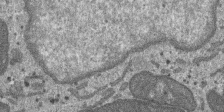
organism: Human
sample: Lung epithelial cells infected with SARS-CoV-2